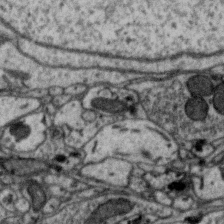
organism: Zebra finch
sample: Brain